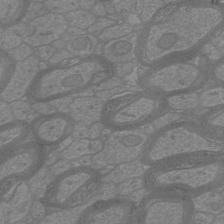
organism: Mouse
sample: Cortical neurons